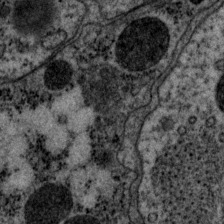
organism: P. pacificus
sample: Pharynx